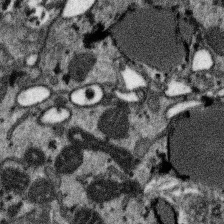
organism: Human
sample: Lung epithelial cells infected with SARS-CoV-2